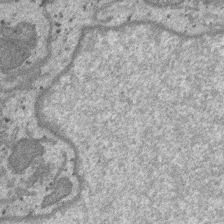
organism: Human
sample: Lung epithelial cells infected with SARS-CoV-2